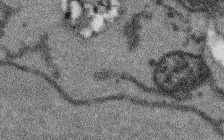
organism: Arabidopsis thaliana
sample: Root tip